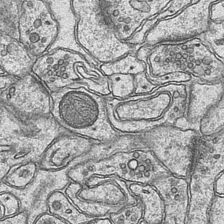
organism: Mouse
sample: CA1 Hippocampus